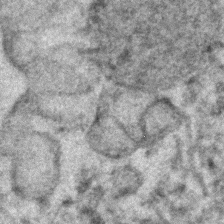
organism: Human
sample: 1205lu cells